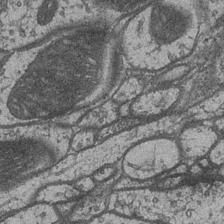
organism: Drosophila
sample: Optic medulla